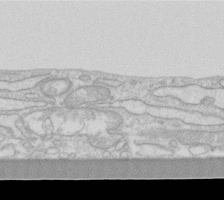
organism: Human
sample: Fibroblast cells